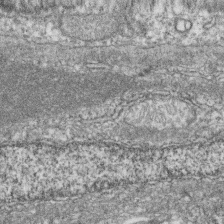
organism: Zebrafish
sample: Cilia; retinal pigment epithelium